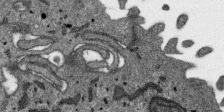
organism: Human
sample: Lung epithelial cells, uninfected (mock) control